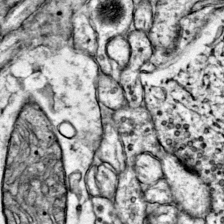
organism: Mouse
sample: Primary visual cortex